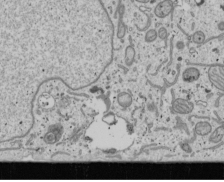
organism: Human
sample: Mitochondria in U2OS cells